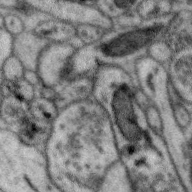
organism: Zebra finch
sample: Brain